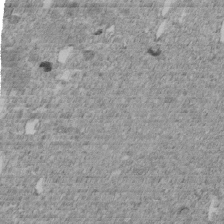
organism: C. elegans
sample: C. elegans embryo early stage